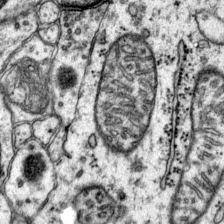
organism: Mouse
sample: Primary visual cortex